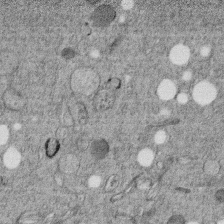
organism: C. elegans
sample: C. elegans embryo early stage